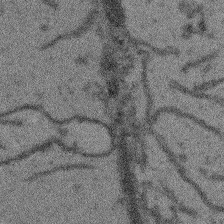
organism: Arabidopsis thaliana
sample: Root tip